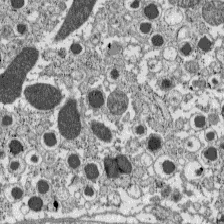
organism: C57BL Mouse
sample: Pancreatic islet